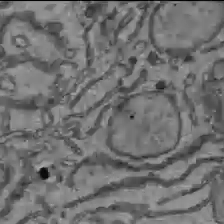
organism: C57BL Mouse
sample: Liver